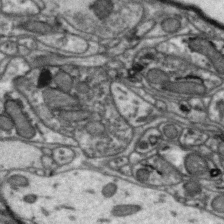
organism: Zebra finch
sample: Brain